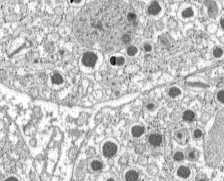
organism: C57BL Mouse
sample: Pancreatic islet